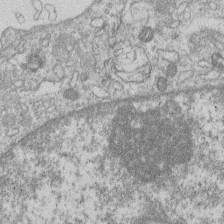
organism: Human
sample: Macrophage cells